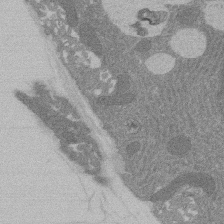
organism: Rat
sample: Salivary granule